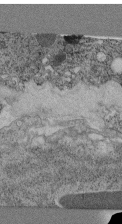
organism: C. elegans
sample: C. elegans pharynx